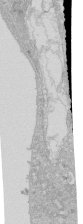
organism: Human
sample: Caco-2 cells